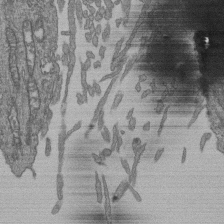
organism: Human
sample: Retinal organoid Rod and Cone cells